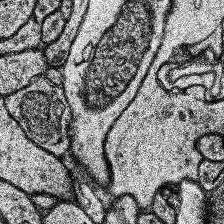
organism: Human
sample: Temporal Lobe